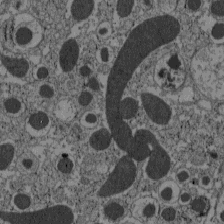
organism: C57BL Mouse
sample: Pancreatic islet